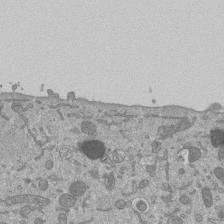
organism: Mouse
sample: ED-1 cell nuclei; centrioles